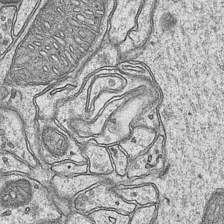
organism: Mouse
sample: CA1 Hippocampus